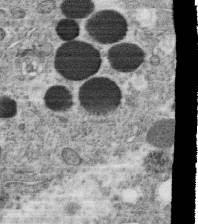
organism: C. elegans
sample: C. elegans oocyte; sperm cells